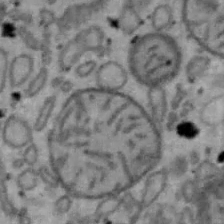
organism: Mouse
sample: Liver